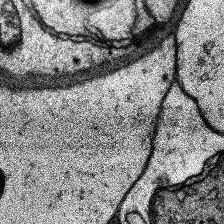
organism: Human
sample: Temporal Lobe